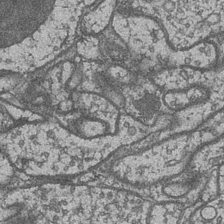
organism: Drosophila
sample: Optic medulla